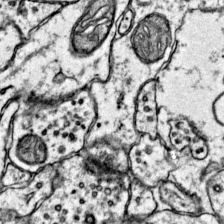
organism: Mouse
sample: Primary visual cortex